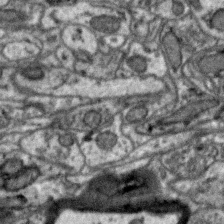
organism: Zebra finch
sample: Brain